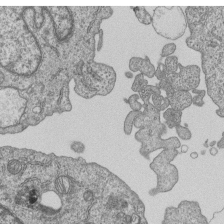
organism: Human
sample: MDA-MB-231 cells